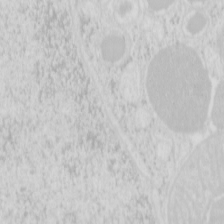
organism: Mouse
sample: Pancreas